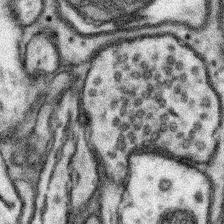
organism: Mouse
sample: Somatosensory cortex neuropil